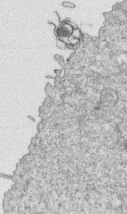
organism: Human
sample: HeLa cell HIV synapse